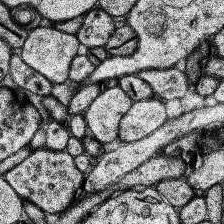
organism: Human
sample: Temporal Lobe